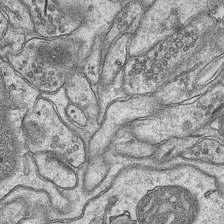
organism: Mouse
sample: CA1 Hippocampus